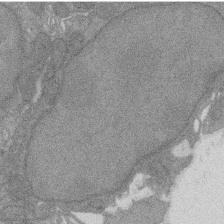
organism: Rat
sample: Salivary granule